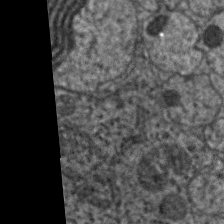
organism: C. elegans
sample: Pharynx